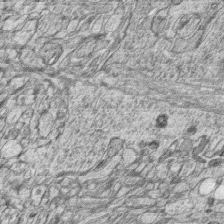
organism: Zebrafish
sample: synaptic ribbons in rod cells and cone cells